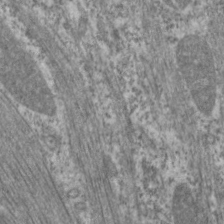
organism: C. elegans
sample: Pharynx